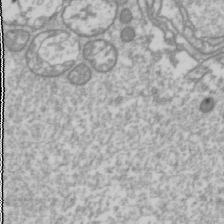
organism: Drosophila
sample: Cell division; meiosis; drosophila spermatocytes